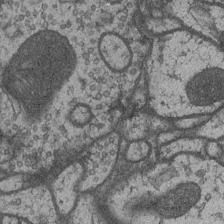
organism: Drosophila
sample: Optic medulla